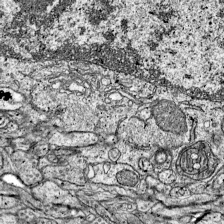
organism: Mouse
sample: Visual Cortex